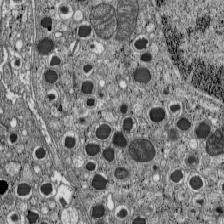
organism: C57BL Mouse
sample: Pancreatic islet